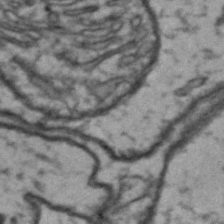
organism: Drosophila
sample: Brain